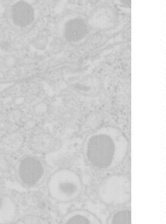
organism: Mouse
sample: Pancreas